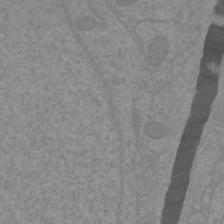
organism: Mouse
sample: Cortical neurons